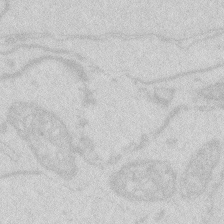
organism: Zebrafish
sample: Macrophage